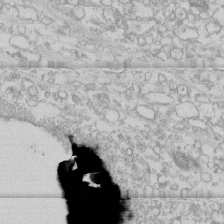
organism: Human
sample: CRL-1474